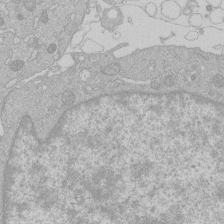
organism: Human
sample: Macrophage cells